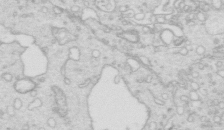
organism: Mouse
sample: Multiciliated cells